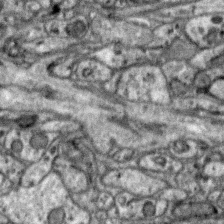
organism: Zebra finch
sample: Brain